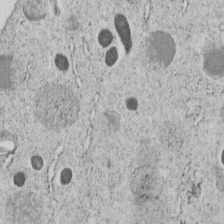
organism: C. elegans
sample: C. elegans embryo early stage